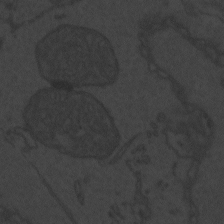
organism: Zebrafish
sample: Macrophage infected with Toxoplasma gondii